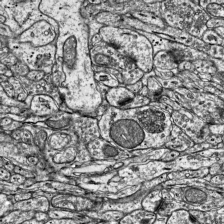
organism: Mouse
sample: Visual Cortex